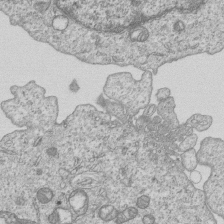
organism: Human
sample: MDA-MB-231 cells